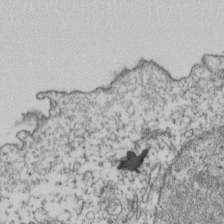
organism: Human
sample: Activated Jurkat CD4+ T cells